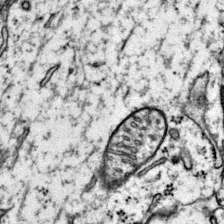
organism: Mouse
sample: Primary visual cortex